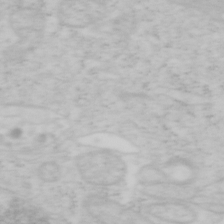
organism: Mouse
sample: OT-I killer T cells with ID8 ovarian cancer cells